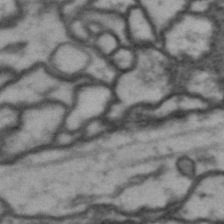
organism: Drosophila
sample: Brain